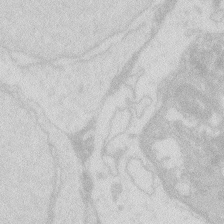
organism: Zebrafish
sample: Macrophage